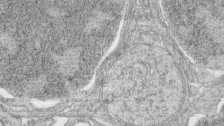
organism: Zebrafish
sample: synaptic ribbons in rod cells and cone cells